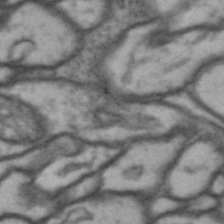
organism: Drosophila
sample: Brain